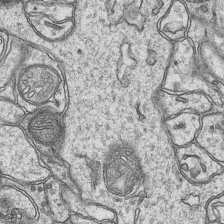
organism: Mouse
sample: CA1 Hippocampus